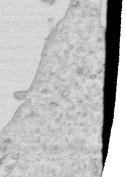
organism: Human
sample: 1205lu cells